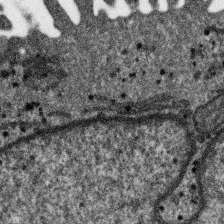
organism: Human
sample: Lung epithelial cells infected with SARS-CoV-2